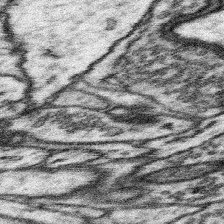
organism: Mouse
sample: Somatosensory cortex neuropil